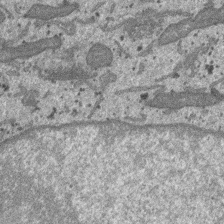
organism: Human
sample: Lung epithelial cells infected with SARS-CoV-2